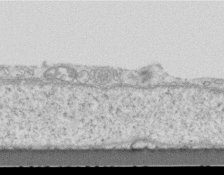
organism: Mouse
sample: Centriole in ependymal cells